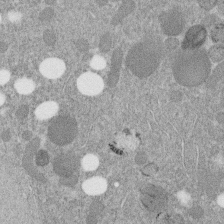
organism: C. elegans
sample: C. elegans embryo early stage